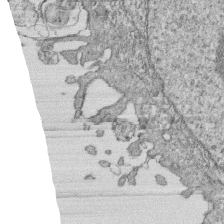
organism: Human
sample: HeLa cell HIV synapse